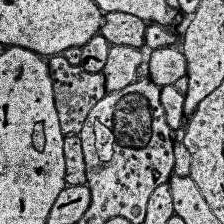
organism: Human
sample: Temporal Lobe